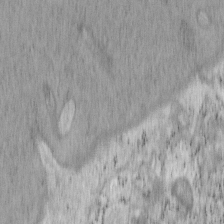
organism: Human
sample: HeLa cells